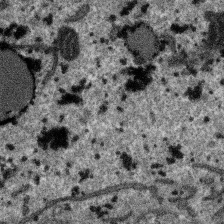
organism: Human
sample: Lung epithelial cells infected with SARS-CoV-2